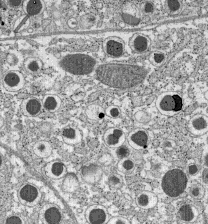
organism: C57BL Mouse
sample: Pancreatic islet